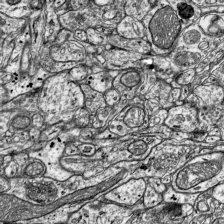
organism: Mouse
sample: Visual Cortex